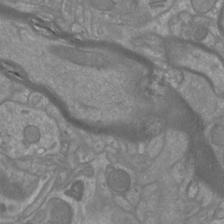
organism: Mouse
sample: Cortical neurons